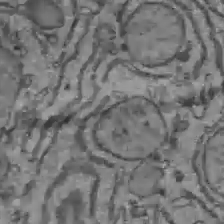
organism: C57BL Mouse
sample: Liver